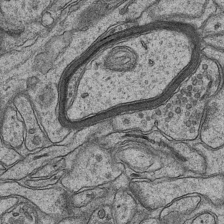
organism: Mouse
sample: CA1 Hippocampus